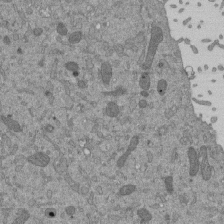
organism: Mouse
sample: ED-1 cell nuclei; centrioles